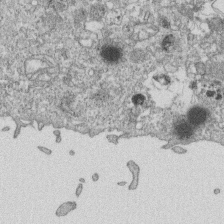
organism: Human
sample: HeLa cell HIV synapse